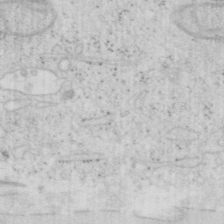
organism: Human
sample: HeLa cells